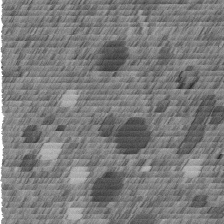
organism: C. elegans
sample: C. elegans embryo early stage